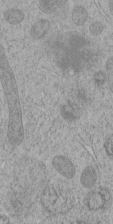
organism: C. elegans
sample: C. elegans embryo early stage